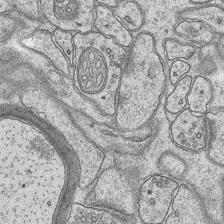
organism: Mouse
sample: CA1 Hippocampus